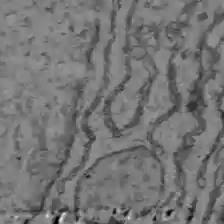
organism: C57BL Mouse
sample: Liver